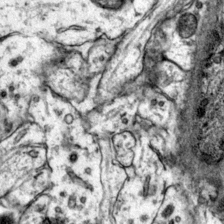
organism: Mouse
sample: Primary visual cortex